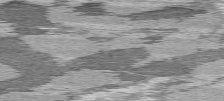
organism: C57BL Mouse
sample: Heart